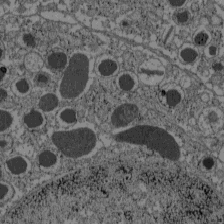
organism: C57BL Mouse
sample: Pancreatic islet